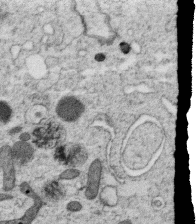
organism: C. elegans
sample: C. elegans oocyte; sperm cells